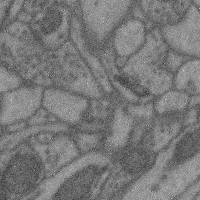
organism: Mouse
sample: Cerebral cortex